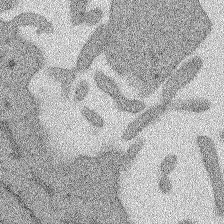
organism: Human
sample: HeLa cells